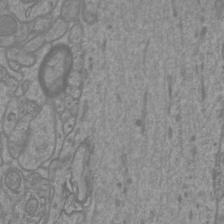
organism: Mouse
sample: Cortical neurons